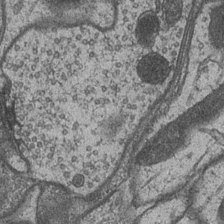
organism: Drosophila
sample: Optic medulla